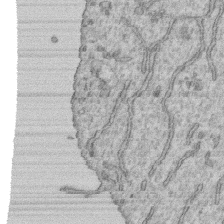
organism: Human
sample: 1205lu cells